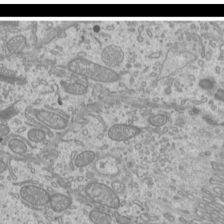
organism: Mouse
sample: Cilia; mouse epididymis